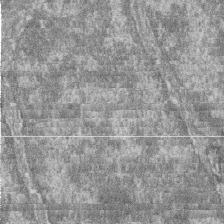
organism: Zebrafish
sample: Cilia; retinal pigment epithelium